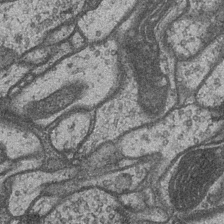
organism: Drosophila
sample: Optic medulla